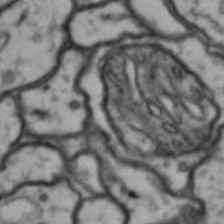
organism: Drosophila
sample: Brain